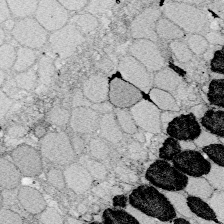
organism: Zebrafish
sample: Whole-Brain